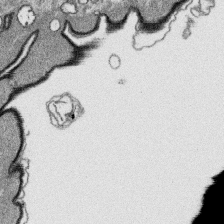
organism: Platynereis dumerilii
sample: Parapodia